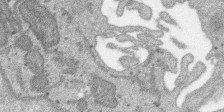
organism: Human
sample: Lung epithelial cells infected with SARS-CoV-2